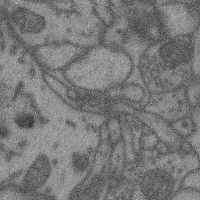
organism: Mouse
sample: Cerebral cortex